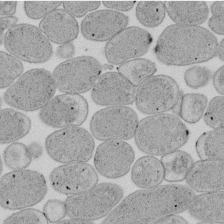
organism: E. coli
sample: Bacterial nucleoid